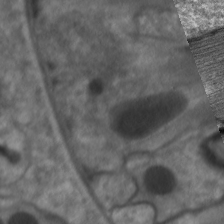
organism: C. elegans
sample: Pharynx